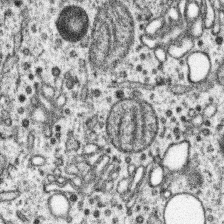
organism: Human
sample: HeLa cells